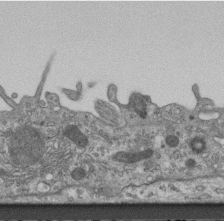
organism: Mouse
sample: Centriole in ependymal cells